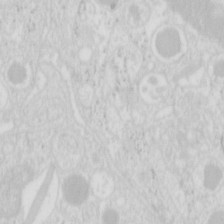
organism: Mouse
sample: Pancreas